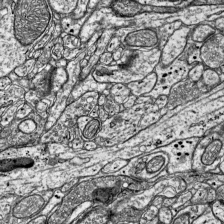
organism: Mouse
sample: Visual Cortex